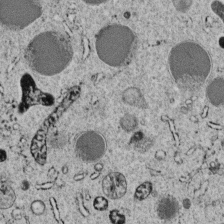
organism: C. elegans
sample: C. elegans embryo early stage